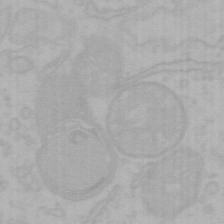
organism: Mouse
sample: Choroid plexus